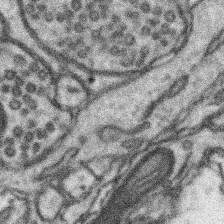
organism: Mouse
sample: Somatosensory cortex neuropil